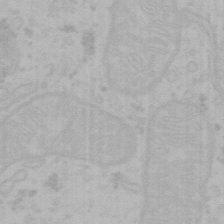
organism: Mouse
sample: Choroid plexus